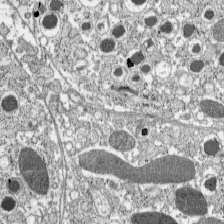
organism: C57BL Mouse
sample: Pancreatic islet